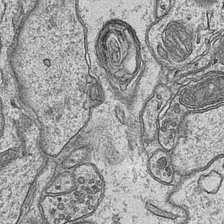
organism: Mouse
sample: CA1 Hippocampus